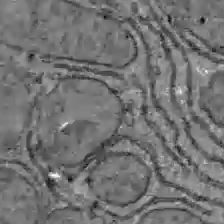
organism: C57BL Mouse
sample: Liver